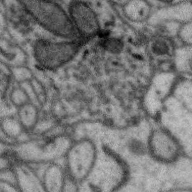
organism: Zebra finch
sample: Brain